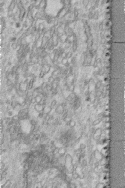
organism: Human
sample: Centriole in fibroblast cells